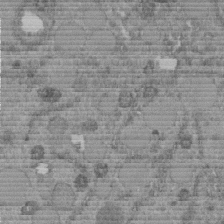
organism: C. elegans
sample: C. elegans embryo early stage